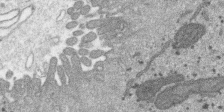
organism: Human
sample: Lung epithelial cells infected with SARS-CoV-2